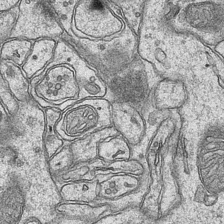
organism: Mouse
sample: CA1 Hippocampus